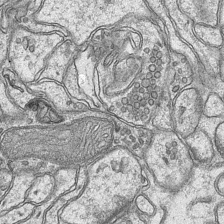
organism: Mouse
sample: CA1 Hippocampus